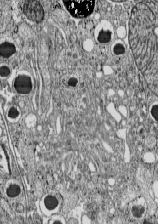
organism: C57BL Mouse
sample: Pancreatic islet